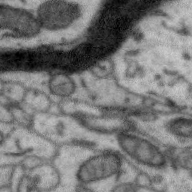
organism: Zebra finch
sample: Brain